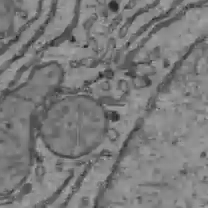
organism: C57BL Mouse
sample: Liver